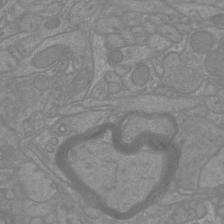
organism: Mouse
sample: Cortical neurons